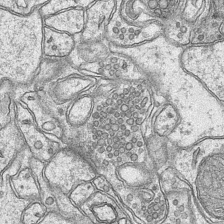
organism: Mouse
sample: CA1 Hippocampus